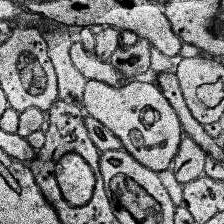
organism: Human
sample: Temporal Lobe